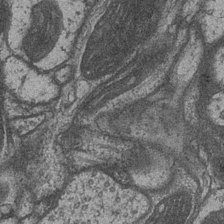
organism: Drosophila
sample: Optic medulla